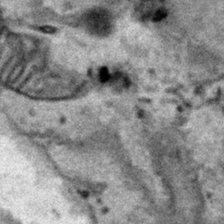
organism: Human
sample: Mitochondria in HCT116 cells